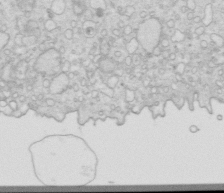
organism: Mouse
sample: Multiciliated cells